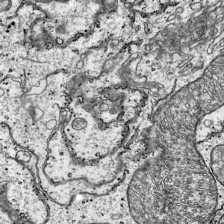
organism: Mouse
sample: Visual Cortex